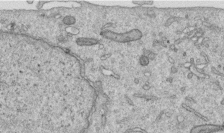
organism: Human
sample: Centriole in RPE cells